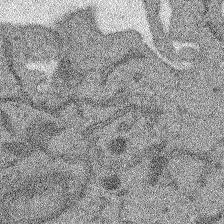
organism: Human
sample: HeLa cells